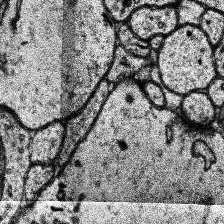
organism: Human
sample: Temporal Lobe